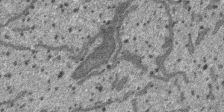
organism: Human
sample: Lung epithelial cells infected with SARS-CoV-2